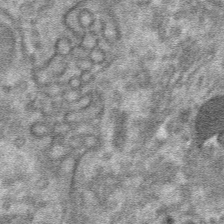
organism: Mouse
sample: Mouse hepatocytes